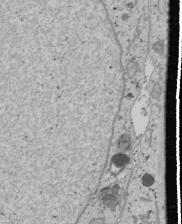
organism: Human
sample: Mitochondria in U2OS cells